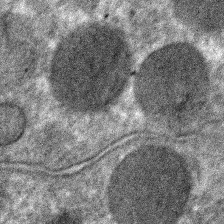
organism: C. elegans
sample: C. elegans embryo